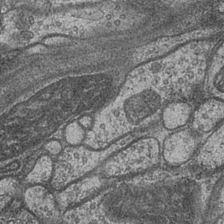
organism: Drosophila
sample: Optic medulla